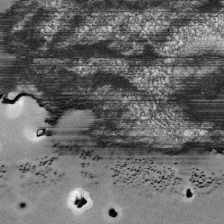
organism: Tetrahymena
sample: Cilia in tetrahymena